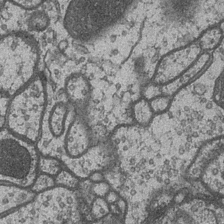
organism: Drosophila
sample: Optic medulla